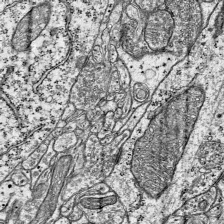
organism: Mouse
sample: Visual Cortex